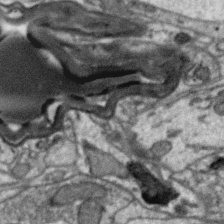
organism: Zebra finch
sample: Brain